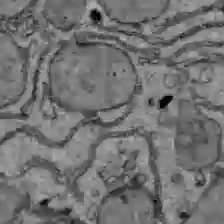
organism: C57BL Mouse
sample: Liver